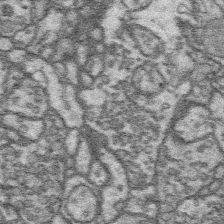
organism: Platynereis dumerilii